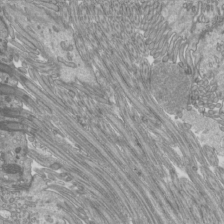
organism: Mouse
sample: Cilia; mouse epididymis